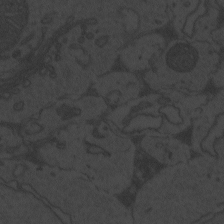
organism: Zebrafish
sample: Macrophage infected with Toxoplasma gondii